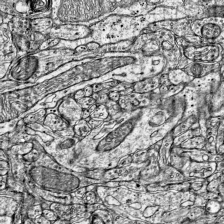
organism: Mouse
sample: Visual Cortex